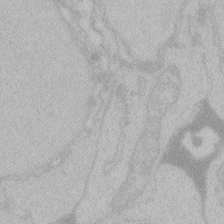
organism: Zebrafish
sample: Macrophage infected with Toxoplasma gondii